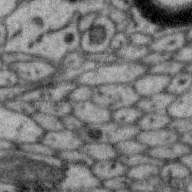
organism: Zebra finch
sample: Brain